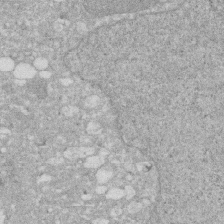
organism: Human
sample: HIV infected U937 cells